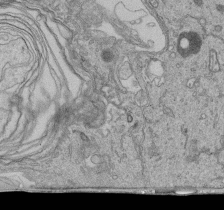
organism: Human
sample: Retinal organoid Rod and Cone cells